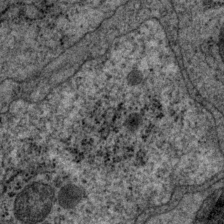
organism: P. pacificus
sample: Pharynx